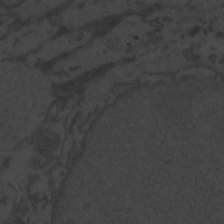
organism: Zebrafish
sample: Macrophage infected with Toxoplasma gondii